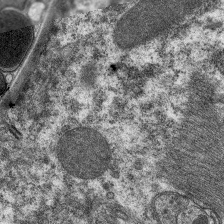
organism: C. elegans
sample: Pharynx